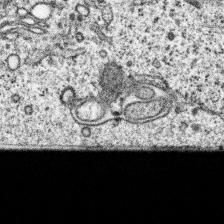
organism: Human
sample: HeLa cells